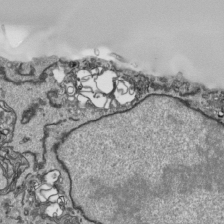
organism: Human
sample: Mitochondria in HCT116 cells